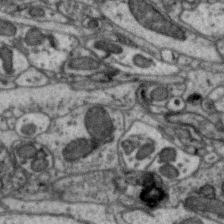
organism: Zebra finch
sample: Brain